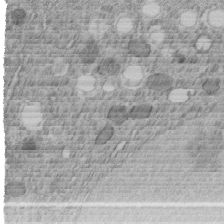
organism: C. elegans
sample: C. elegans embryo early stage